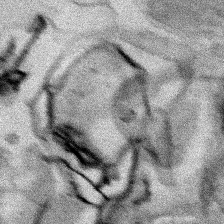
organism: Human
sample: Mitochondria in HCT116 cells